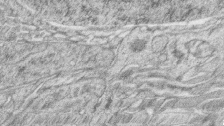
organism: Zebrafish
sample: synaptic ribbons in rod cells and cone cells